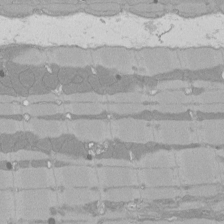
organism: Rat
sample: Left ventricle